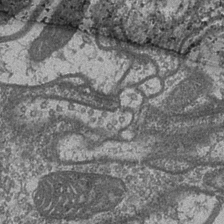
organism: Drosophila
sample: Optic medulla